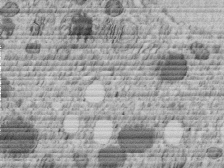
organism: C. elegans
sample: C. elegans embryo early stage